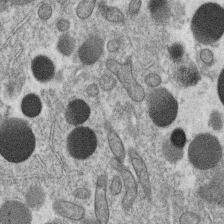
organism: C. elegans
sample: C. elegans oocyte; sperm cells